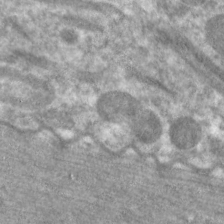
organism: C. elegans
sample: Pharynx